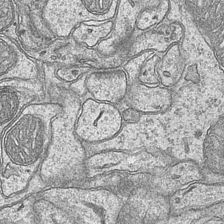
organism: Mouse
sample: CA1 Hippocampus